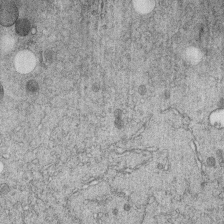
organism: C. elegans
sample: C. elegans embryo early stage